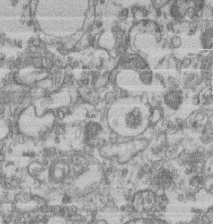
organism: Mouse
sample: T cell stromal cell synapse